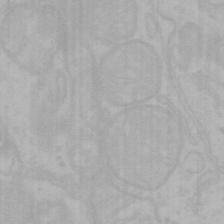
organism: Mouse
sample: Choroid plexus